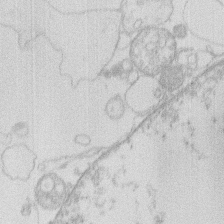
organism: Human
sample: Macrophage cells